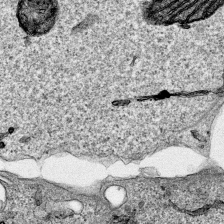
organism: Human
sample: Mitochondria in HCT116 cells